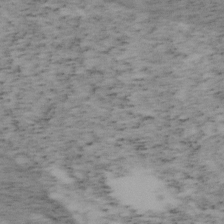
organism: Mouse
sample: OT-I killer T cells with ID8 ovarian cancer cells